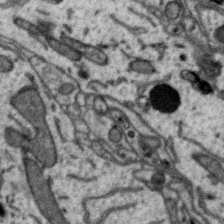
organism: Zebra finch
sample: Brain